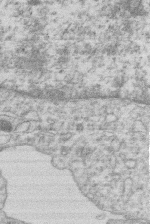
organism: Human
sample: Macrophage cells